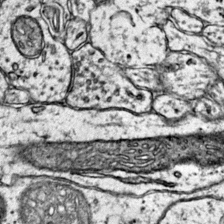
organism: Mouse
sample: Primary visual cortex